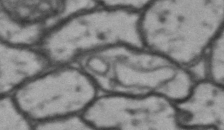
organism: Drosophila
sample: Brain